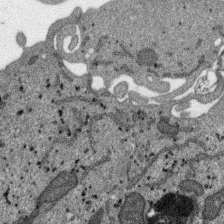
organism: Human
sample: Lung epithelial cells infected with SARS-CoV-2